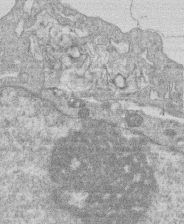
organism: Human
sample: Macrophage cells